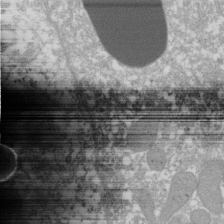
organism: Xenopus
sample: Cilia; centrioles in frog embryo cells